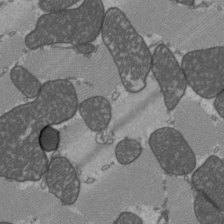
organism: C57BL Mouse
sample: Heart